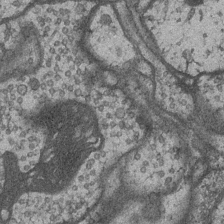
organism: Drosophila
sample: Optic medulla